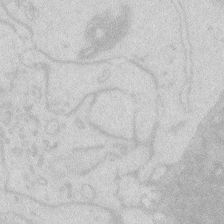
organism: Zebrafish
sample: Macrophage